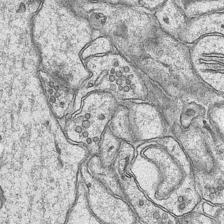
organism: Mouse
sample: CA1 Hippocampus